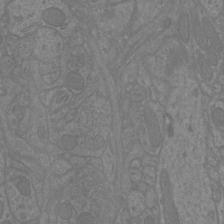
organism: Mouse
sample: Cortical neurons